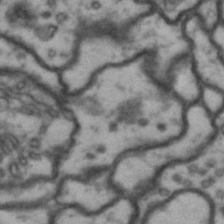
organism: Drosophila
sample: Brain